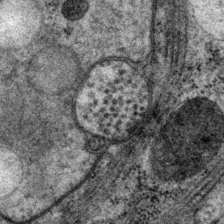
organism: P. pacificus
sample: Pharynx